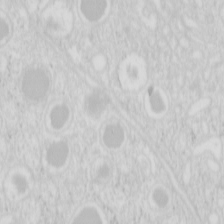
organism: Mouse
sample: Pancreas